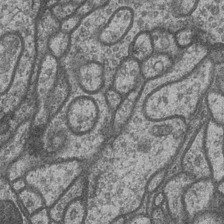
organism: Drosophila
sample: Optic medulla